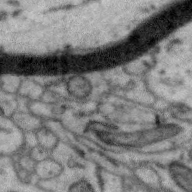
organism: Zebra finch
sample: Brain